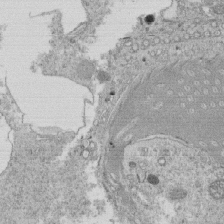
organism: Tetrahymena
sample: Cilia in tetrahymena